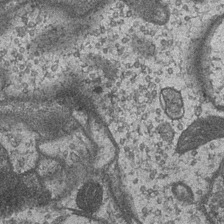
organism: Drosophila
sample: Optic medulla